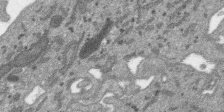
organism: Human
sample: Lung epithelial cells infected with SARS-CoV-2